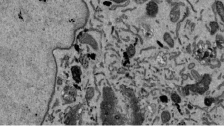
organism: Mouse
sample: ED-1 cell nuclei; centrioles